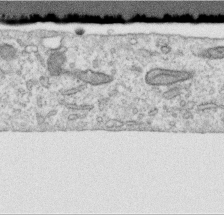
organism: Human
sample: Centriole in RPE cells